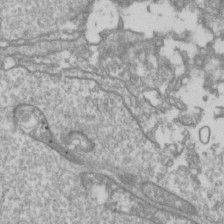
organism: Drosophila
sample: Cell division; meiosis; drosophila spermatocytes